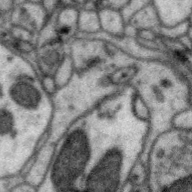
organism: Zebra finch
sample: Brain